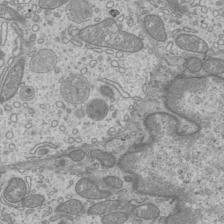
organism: Mouse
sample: Cilia; mouse epididymis